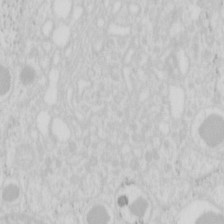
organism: Mouse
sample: Pancreas